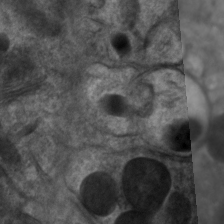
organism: C. elegans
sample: Pharynx